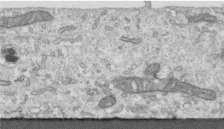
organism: Human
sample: Centriole in RPE cells